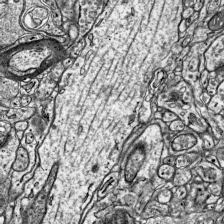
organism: Mouse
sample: Visual Cortex